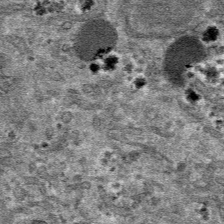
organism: Mouse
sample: Mouse hepatocytes